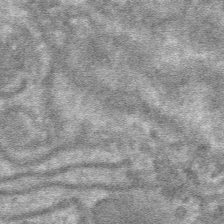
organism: Mouse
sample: Mouse hepatocytes